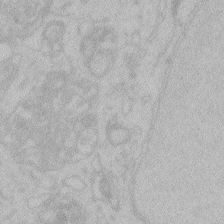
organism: Zebrafish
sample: Macrophage infected with Toxoplasma gondii